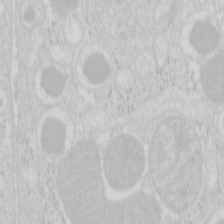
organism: Mouse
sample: Pancreas